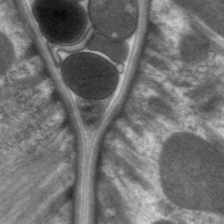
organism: C. elegans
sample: Pharynx